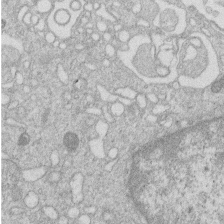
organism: Human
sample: Macrophage cells